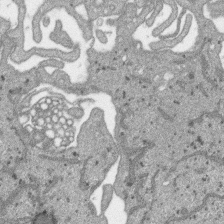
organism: Human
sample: Lung epithelial cells infected with SARS-CoV-2